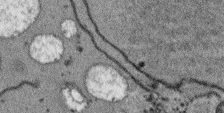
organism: Arabidopsis thaliana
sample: Root tip